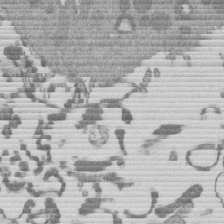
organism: Mouse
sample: Dividing mouse embryo 1 cell stage